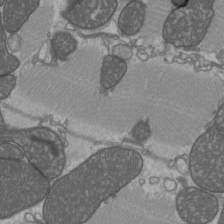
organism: C57BL Mouse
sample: Heart